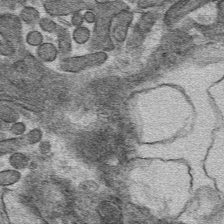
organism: Mouse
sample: Mouse hepatocytes